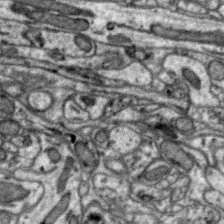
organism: Zebra finch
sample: Brain